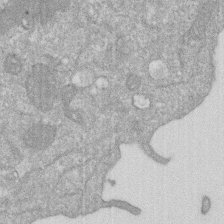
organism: Human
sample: HIV infected U937 cells